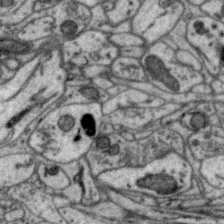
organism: Zebra finch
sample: Brain